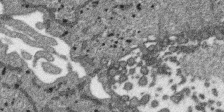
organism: Human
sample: Lung epithelial cells infected with SARS-CoV-2